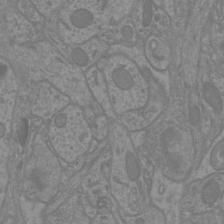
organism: Mouse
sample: Cortical neurons